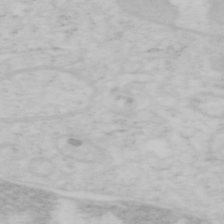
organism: Mouse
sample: OT-I killer T cells with ID8 ovarian cancer cells